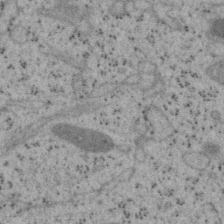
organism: Human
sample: HeLa cells